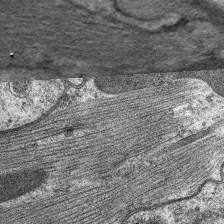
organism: C. elegans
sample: Pharynx